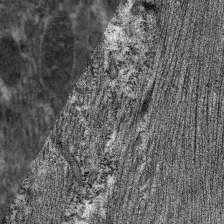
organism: C. elegans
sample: Pharynx